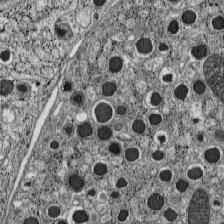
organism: C57BL Mouse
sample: Pancreatic islet